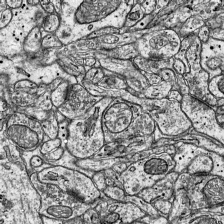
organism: Mouse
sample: Visual Cortex